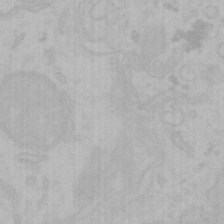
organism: Mouse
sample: Choroid plexus